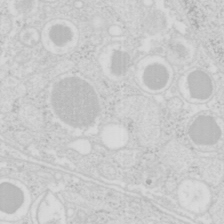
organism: Mouse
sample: Pancreas